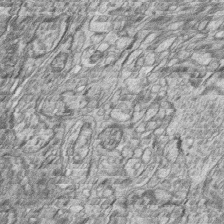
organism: Zebrafish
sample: synaptic ribbons in rod cells and cone cells